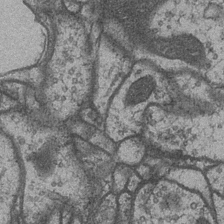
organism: Drosophila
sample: Optic medulla